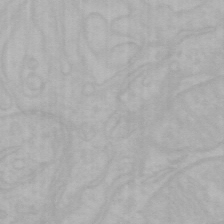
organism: Mouse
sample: Choroid plexus